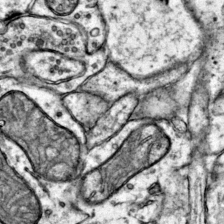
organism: Mouse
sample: Primary visual cortex